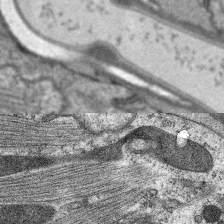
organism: C. elegans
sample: Pharynx